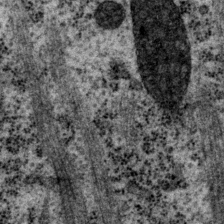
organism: P. pacificus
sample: Pharynx